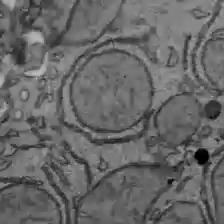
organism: C57BL Mouse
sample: Liver